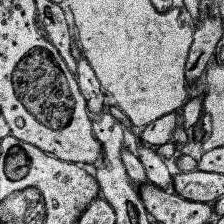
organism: Human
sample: Temporal Lobe